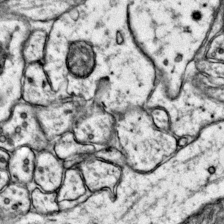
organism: Mouse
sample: Primary visual cortex